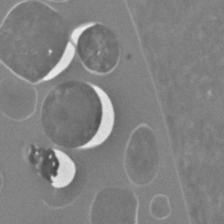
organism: C. elegans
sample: C. elegans embryo